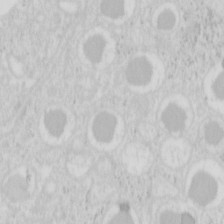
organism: Mouse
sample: Pancreas